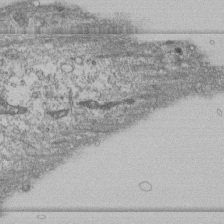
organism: Human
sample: Fibroblast cells